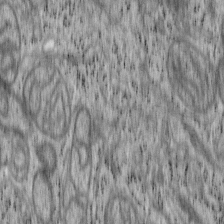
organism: Human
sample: HeLa cells